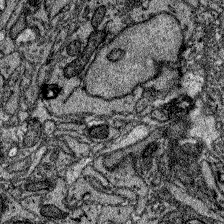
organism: Zebrafish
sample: Larval olfactory bulb